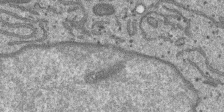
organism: Human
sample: Lung epithelial cells infected with SARS-CoV-2